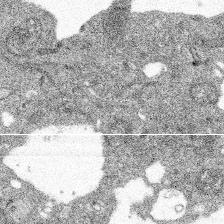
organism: Spongilla lacustris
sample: Multiple